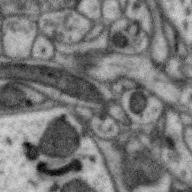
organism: Zebra finch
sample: Brain